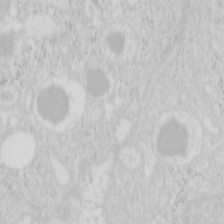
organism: Mouse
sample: Pancreas